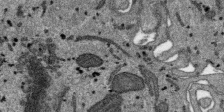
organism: Human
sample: Lung epithelial cells, uninfected (mock) control